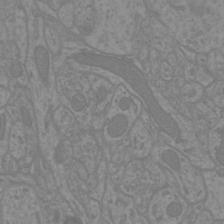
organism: Mouse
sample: Cortical neurons